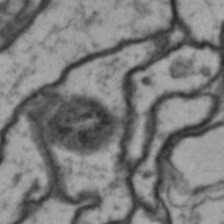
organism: Drosophila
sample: Brain